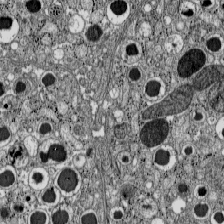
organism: C57BL Mouse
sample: Pancreatic islet